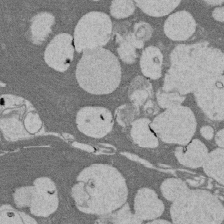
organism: Rat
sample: Salivary granule